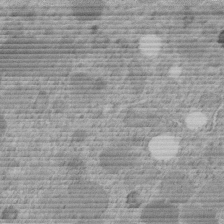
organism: C. elegans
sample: C. elegans embryo early stage